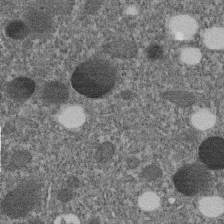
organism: C. elegans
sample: C. elegans embryo early stage